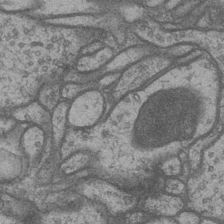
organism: Drosophila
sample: Optic medulla